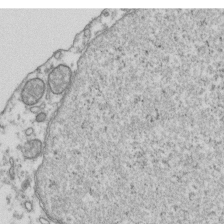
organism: Human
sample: Activated Jurkat CD4+ T cells